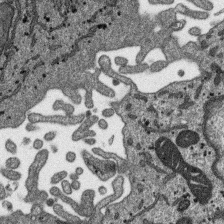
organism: Human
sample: Lung epithelial cells infected with SARS-CoV-2